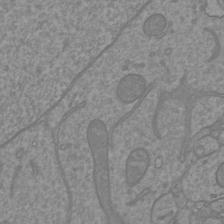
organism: Mouse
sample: Cortical neurons